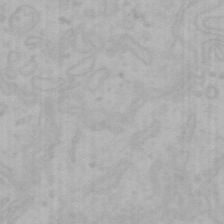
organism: Mouse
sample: Choroid plexus